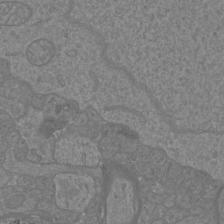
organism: Mouse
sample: Cortical neurons